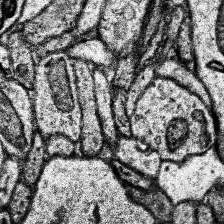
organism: Human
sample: Temporal Lobe